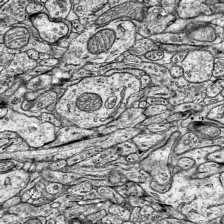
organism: Mouse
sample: Visual Cortex